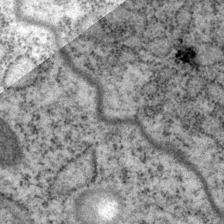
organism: P. pacificus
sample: Pharynx